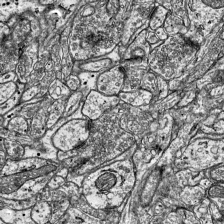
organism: Mouse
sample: Visual Cortex